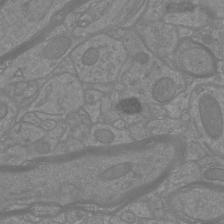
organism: Mouse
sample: Cortical neurons